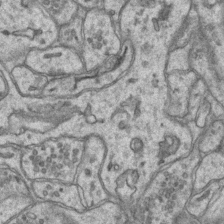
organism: Mouse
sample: CA1 Hippocampus